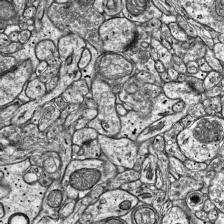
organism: Mouse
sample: Visual Cortex